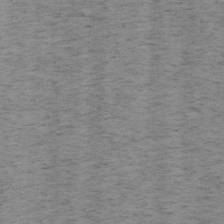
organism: Mouse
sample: OT-I killer T cells with ID8 ovarian cancer cells